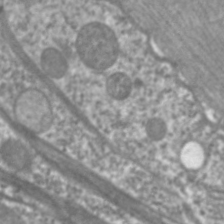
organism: C. elegans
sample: Pharynx